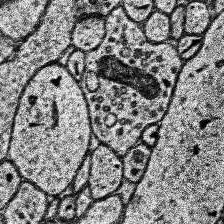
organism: Human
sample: Temporal Lobe